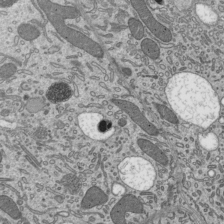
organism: Mouse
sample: Mouse epididymis efferent ductule cilia